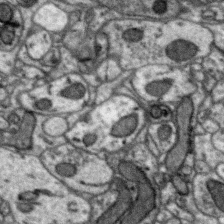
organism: Zebra finch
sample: Brain